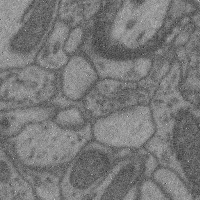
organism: Mouse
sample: Cerebral cortex